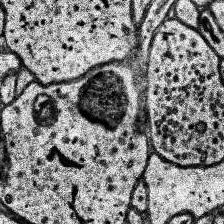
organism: Human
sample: Temporal Lobe